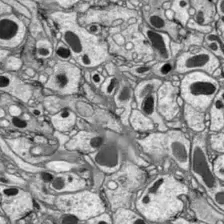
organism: Drosophila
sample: Optic lobe